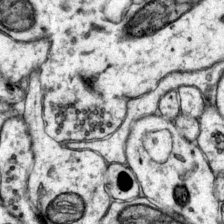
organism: Mouse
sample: Primary visual cortex